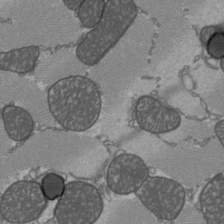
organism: C57BL Mouse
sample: Heart